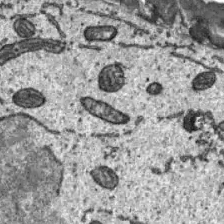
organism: Human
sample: HeLa cells